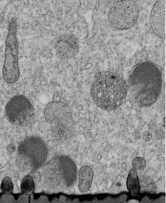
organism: C. elegans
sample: C. elegans embryo early stage